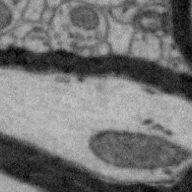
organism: Zebra finch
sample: Brain